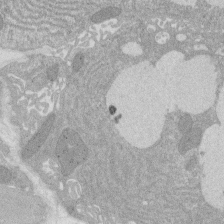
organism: Rat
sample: Salivary granule